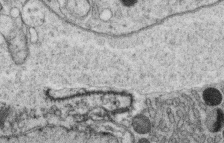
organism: C. elegans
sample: C. elegans oocyte; sperm cells